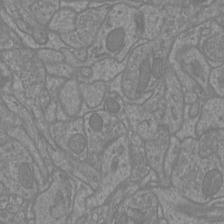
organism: Mouse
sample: Cortical neurons